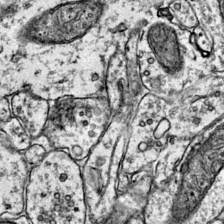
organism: Mouse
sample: Primary visual cortex